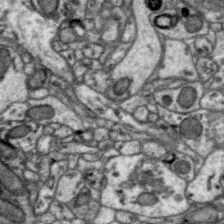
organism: Zebra finch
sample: Brain